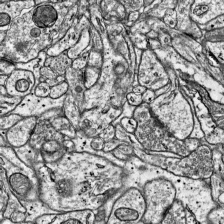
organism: Mouse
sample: Visual Cortex